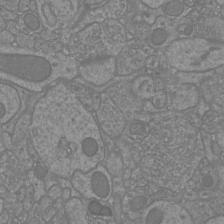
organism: Mouse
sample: Cortical neurons